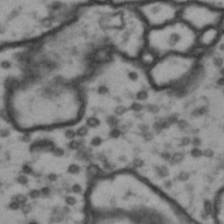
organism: Drosophila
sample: Brain